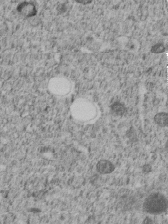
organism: C. elegans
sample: C. elegans embryo early stage